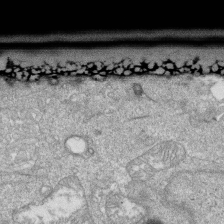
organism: Human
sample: HeLa cell HIV synapse